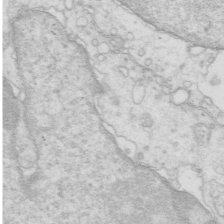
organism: Mouse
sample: Multiciliated cells